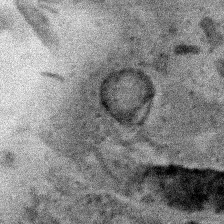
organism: Human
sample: Mitochondria in HCT116 cells